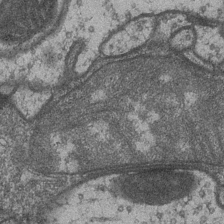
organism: Drosophila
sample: Optic medulla